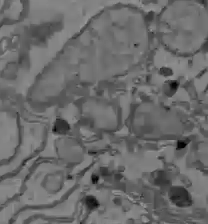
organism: C57BL Mouse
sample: Liver